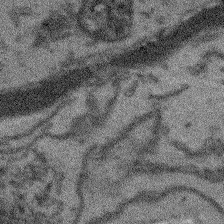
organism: Arabidopsis thaliana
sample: Root tip